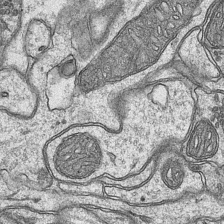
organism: Mouse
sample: CA1 Hippocampus